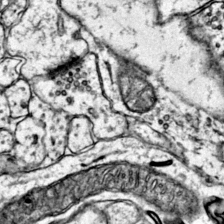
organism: Mouse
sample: Primary visual cortex